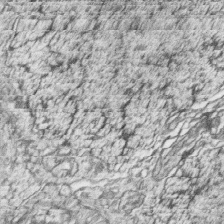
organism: Zebrafish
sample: synaptic ribbons in rod cells and cone cells